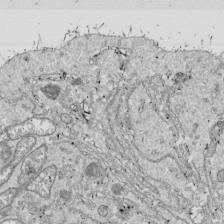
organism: Drosophila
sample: Cell division; meiosis; drosophila spermatocytes